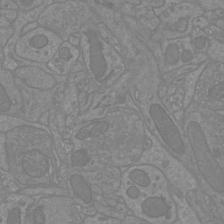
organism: Mouse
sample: Cortical neurons